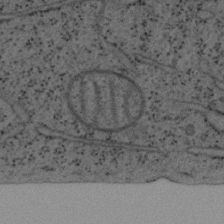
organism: Human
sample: HeLa cells